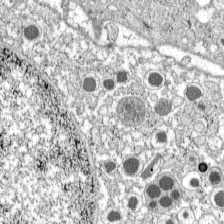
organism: C57BL Mouse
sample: Pancreatic islet